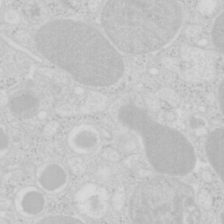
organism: Mouse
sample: Pancreas